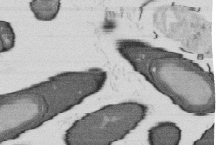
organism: B. subtilis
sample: Bacterial spore